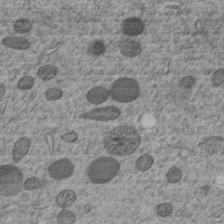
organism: C. elegans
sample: C. elegans embryo early stage